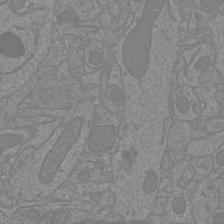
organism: Mouse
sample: Cortical neurons